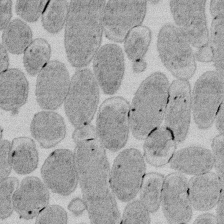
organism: E. coli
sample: Bacterial nucleoid